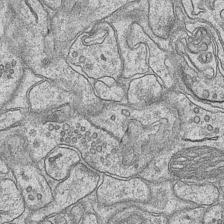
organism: Mouse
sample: CA1 Hippocampus